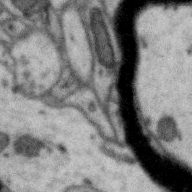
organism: Zebra finch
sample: Brain